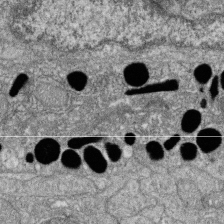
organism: Zebrafish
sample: Cilia; retinal pigment epithelium